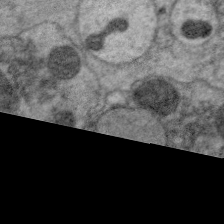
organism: C. elegans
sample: Pharynx